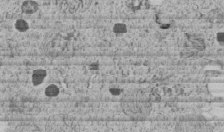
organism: C. elegans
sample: C. elegans embryo early stage